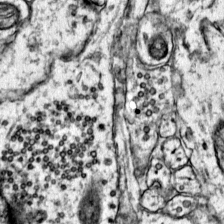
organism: Mouse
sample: Primary visual cortex